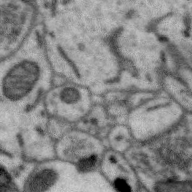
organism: Zebra finch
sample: Brain